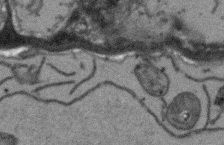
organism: Arabidopsis thaliana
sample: Root tip